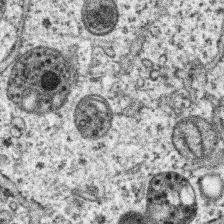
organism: Human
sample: HeLa cells